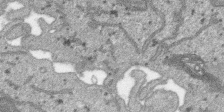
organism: Human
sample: Lung epithelial cells infected with SARS-CoV-2